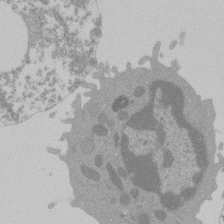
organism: Mouse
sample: Activated Pmel transgenic CD8+ T Cells